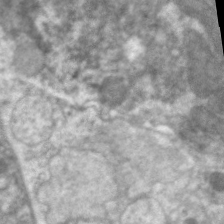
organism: C. elegans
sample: Pharynx